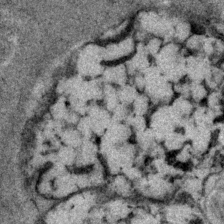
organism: P. pacificus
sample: Pharynx